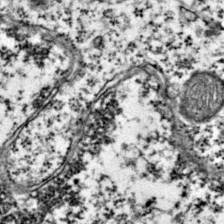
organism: Mouse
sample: Primary visual cortex